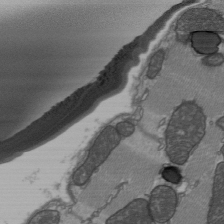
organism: C57BL Mouse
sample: Heart